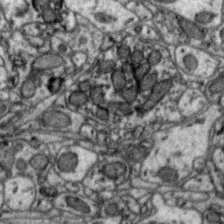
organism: Zebra finch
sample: Brain